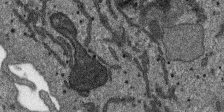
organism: Human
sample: Lung epithelial cells infected with SARS-CoV-2